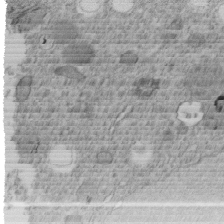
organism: C. elegans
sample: C. elegans embryo early stage